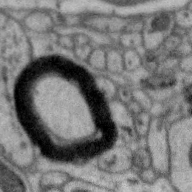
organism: Zebra finch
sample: Brain